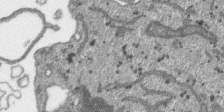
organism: Human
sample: Lung epithelial cells infected with SARS-CoV-2